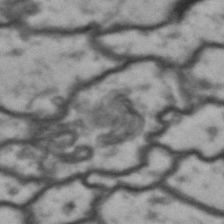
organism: Drosophila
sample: Brain